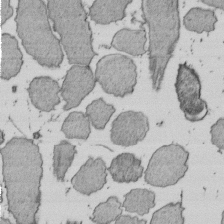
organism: E. coli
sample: Bacterial nucleoid